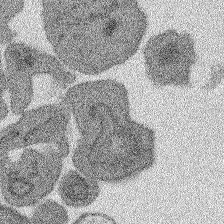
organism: Human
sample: HeLa cells